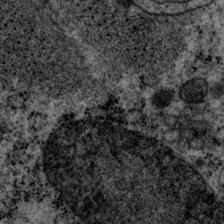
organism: P. pacificus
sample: Pharynx